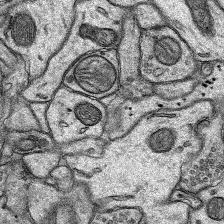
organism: Rat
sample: Hippocampus